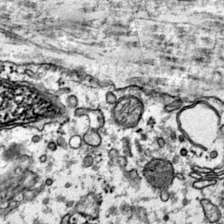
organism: Mouse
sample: Primary visual cortex